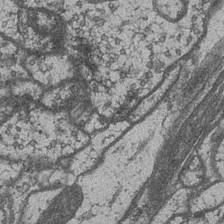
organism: Drosophila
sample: Optic medulla